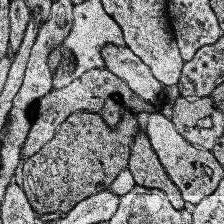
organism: Human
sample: Temporal Lobe